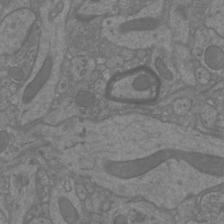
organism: Mouse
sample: Cortical neurons